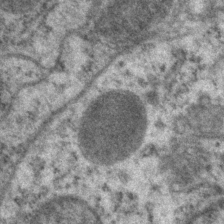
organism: P. pacificus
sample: Pharynx